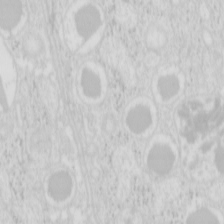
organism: Mouse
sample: Pancreas